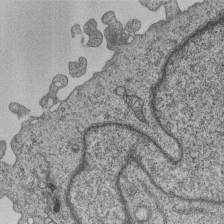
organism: Human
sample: MDA-MB-231 cells